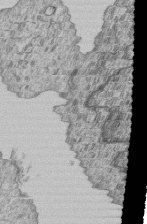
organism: Human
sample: MDA-MB-231 cells